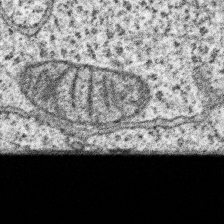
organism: Human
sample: HeLa cells